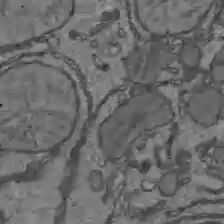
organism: C57BL Mouse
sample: Liver